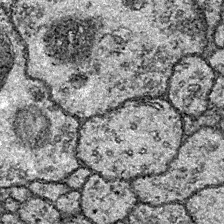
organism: Drosophila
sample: Ventral Nerve Cord